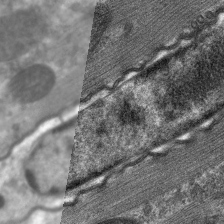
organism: C. elegans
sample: Pharynx